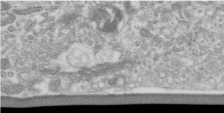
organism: Human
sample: Centriole in RPE cells